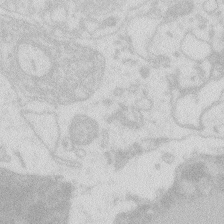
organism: Zebrafish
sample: Macrophage